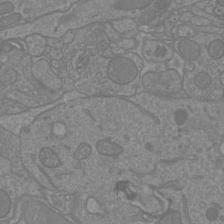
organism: Mouse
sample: Cortical neurons